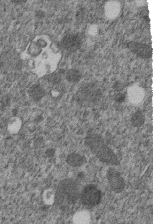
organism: C. elegans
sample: C. elegans embryo early stage